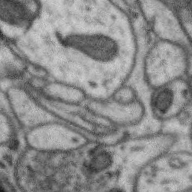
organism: Zebra finch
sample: Brain